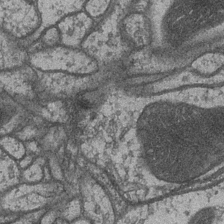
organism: Drosophila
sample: Optic medulla